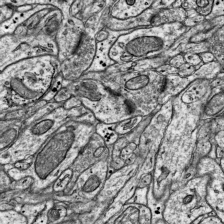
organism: Mouse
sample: Visual Cortex